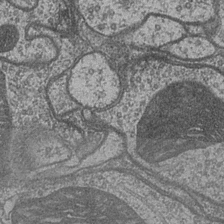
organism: Drosophila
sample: Optic medulla